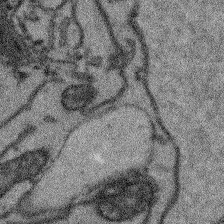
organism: Arabidopsis thaliana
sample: Root tip